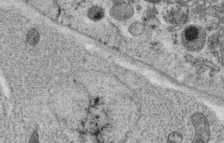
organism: C. elegans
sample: C. elegans oocyte; sperm cells